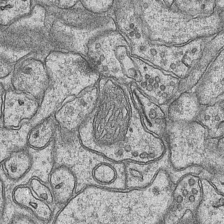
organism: Mouse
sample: CA1 Hippocampus